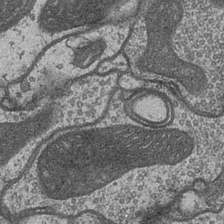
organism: Drosophila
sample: Optic medulla